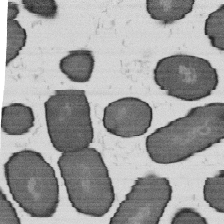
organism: B. subtilis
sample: Bacterial spore